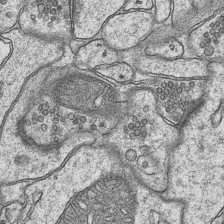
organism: Mouse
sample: CA1 Hippocampus